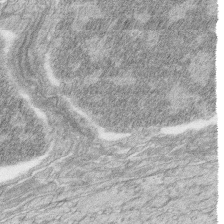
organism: Zebrafish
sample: synaptic ribbons in rod cells and cone cells